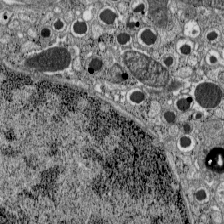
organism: C57BL Mouse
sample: Pancreatic islet